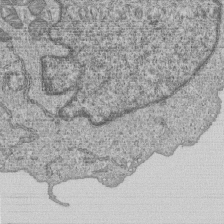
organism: Human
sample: MDA-MB-231 cells